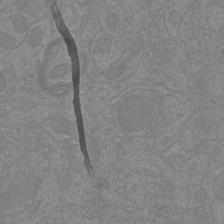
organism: Mouse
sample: Cortical neurons